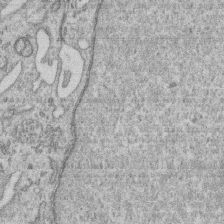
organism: Human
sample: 1205lu cells